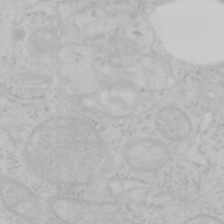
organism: Mouse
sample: OT-I killer T cells with ID8 ovarian cancer cells